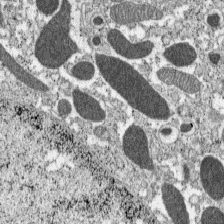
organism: C57BL Mouse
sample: Pancreatic islet